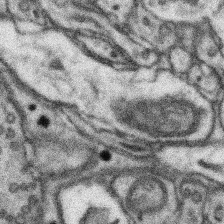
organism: Mouse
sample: Somatosensory cortex neuropil